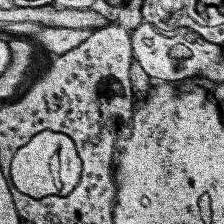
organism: Human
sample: Temporal Lobe